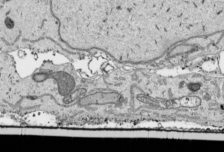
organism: Human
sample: Mitochondria in HCT116 cells